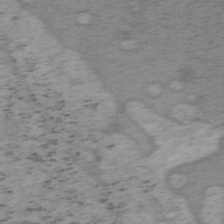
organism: Mouse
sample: OT-I killer T cells with ID8 ovarian cancer cells